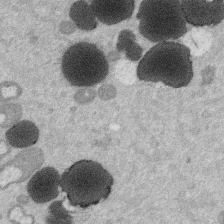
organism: Mouse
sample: Dividing mouse embryo 1 cell stage